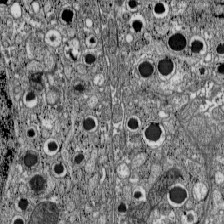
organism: C57BL Mouse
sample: Pancreatic islet